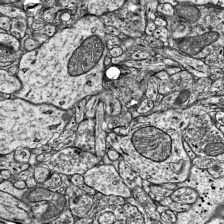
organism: Mouse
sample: Visual Cortex